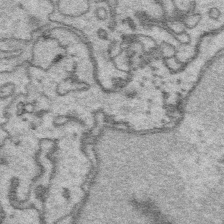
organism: Platynereis dumerilii